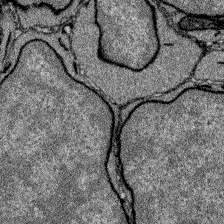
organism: Zebrafish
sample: Larval olfactory bulb